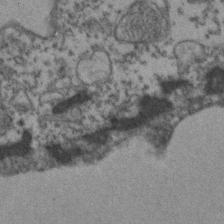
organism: Zebrafish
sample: Zebrafish embryo